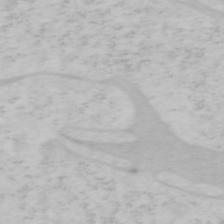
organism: Mouse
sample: OT-I killer T cells with ID8 ovarian cancer cells